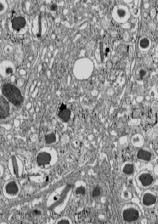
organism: C57BL Mouse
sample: Pancreatic islet